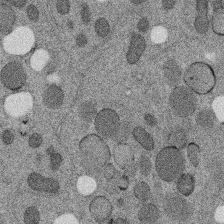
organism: C. elegans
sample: C. elegans embryo early stage